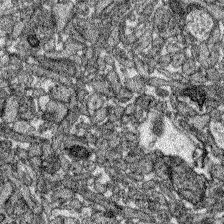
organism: Zebrafish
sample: Larval olfactory bulb